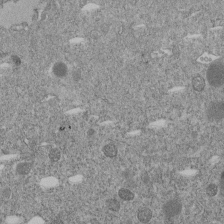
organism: C. elegans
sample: C. elegans embryo early stage